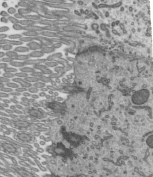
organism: Mouse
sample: Mouse epididymis efferent ductule cilia